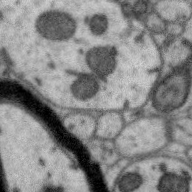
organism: Zebra finch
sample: Brain